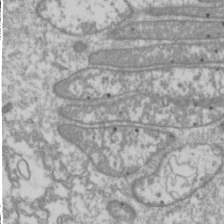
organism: Drosophila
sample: Cell division; meiosis; drosophila spermatocytes